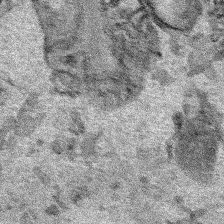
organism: Human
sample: Mitochondria in HCT116 cells